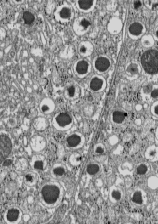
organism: C57BL Mouse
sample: Pancreatic islet